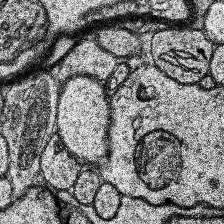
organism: Human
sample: Temporal Lobe